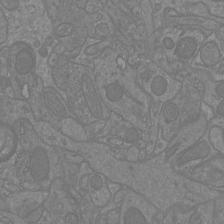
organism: Mouse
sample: Cortical neurons